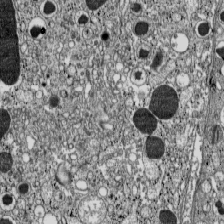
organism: C57BL Mouse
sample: Pancreatic islet